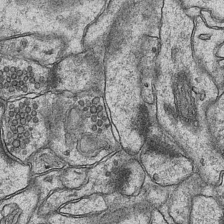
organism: Mouse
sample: CA1 Hippocampus